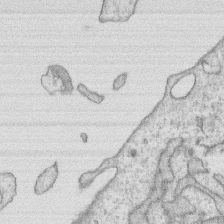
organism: Human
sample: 1205lu cells